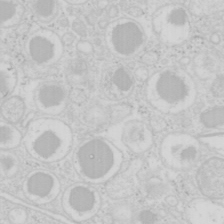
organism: Mouse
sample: Pancreas